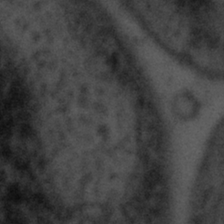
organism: Tuwongella immobilis